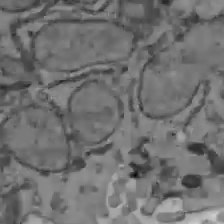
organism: C57BL Mouse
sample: Liver